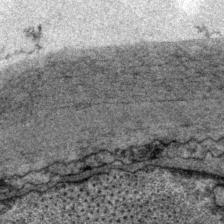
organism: P. pacificus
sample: Pharynx